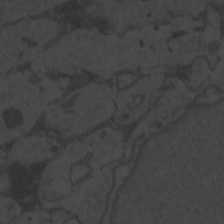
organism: Zebrafish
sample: Macrophage infected with Toxoplasma gondii